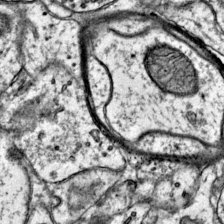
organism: Mouse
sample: Primary visual cortex